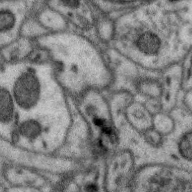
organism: Zebra finch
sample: Brain